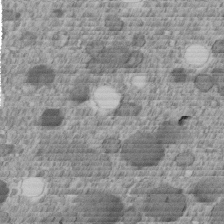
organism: C. elegans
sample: C. elegans embryo early stage